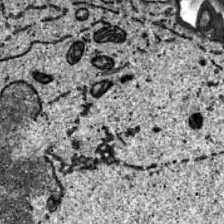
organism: Human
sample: HeLa cells